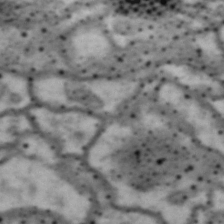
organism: Drosophila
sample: Brain